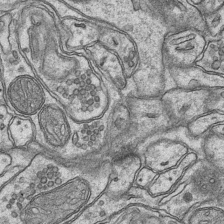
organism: Mouse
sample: CA1 Hippocampus